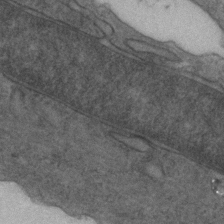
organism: Zebrafish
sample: Zebrafish embryo